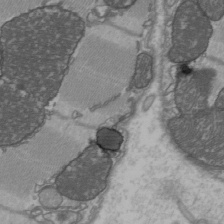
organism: C57BL Mouse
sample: Heart